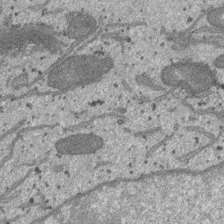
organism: Human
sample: Lung epithelial cells infected with SARS-CoV-2